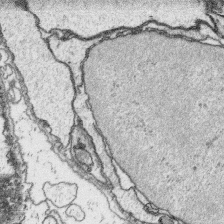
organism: Platynereis dumerilii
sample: Parapodia